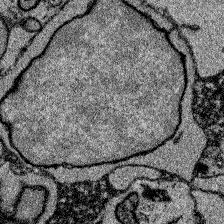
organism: Zebrafish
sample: Larval olfactory bulb